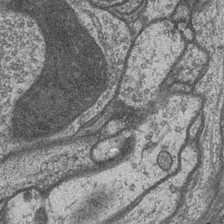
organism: Drosophila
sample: Optic medulla